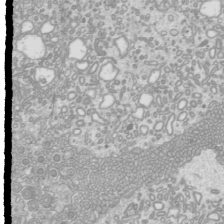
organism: Mouse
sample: Cilia; mouse epididymis